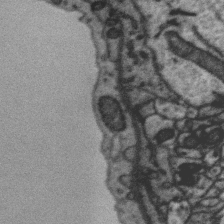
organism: Zebra finch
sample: Brain